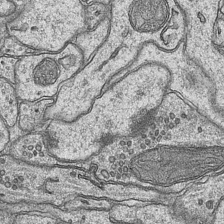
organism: Mouse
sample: CA1 Hippocampus